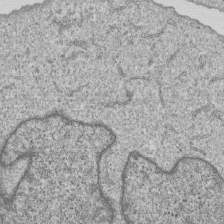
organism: Human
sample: MDA-MB-231 cells